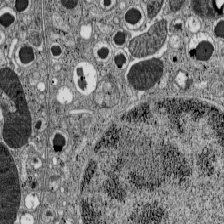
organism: C57BL Mouse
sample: Pancreatic islet